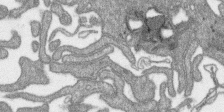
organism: Human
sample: Lung epithelial cells infected with SARS-CoV-2